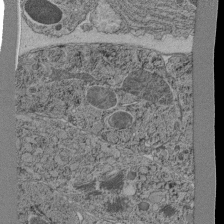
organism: C. elegans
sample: C. elegans pharynx